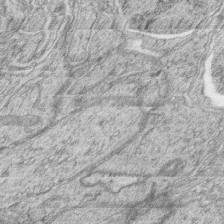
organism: Zebrafish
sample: synaptic ribbons in rod cells and cone cells